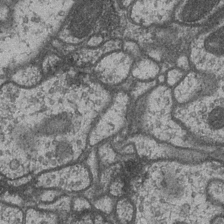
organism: Drosophila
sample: Optic medulla